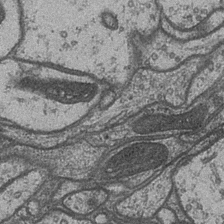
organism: Drosophila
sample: Optic medulla